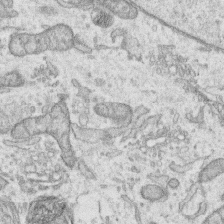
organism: Human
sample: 1205lu cells